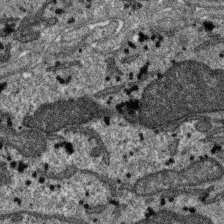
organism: Human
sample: Lung epithelial cells infected with SARS-CoV-2